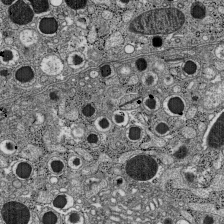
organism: C57BL Mouse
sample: Pancreatic islet